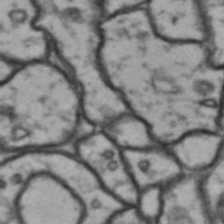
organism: Drosophila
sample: Brain